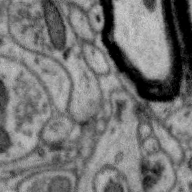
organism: Zebra finch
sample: Brain